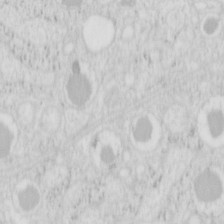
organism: Mouse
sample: Pancreas